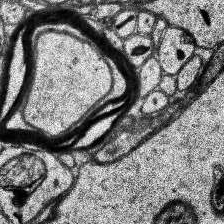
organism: Human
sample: Temporal Lobe